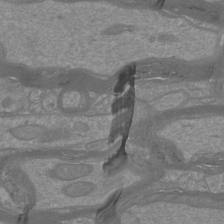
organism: Mouse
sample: Cortical neurons